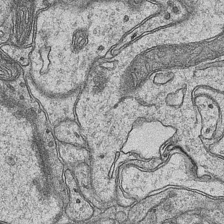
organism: Mouse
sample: CA1 Hippocampus